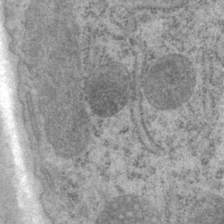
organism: P. pacificus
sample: Pharynx